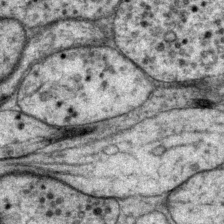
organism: P. pacificus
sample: Pharynx